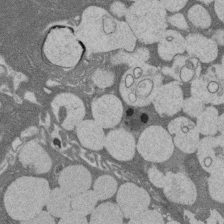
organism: Rat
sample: Salivary granule